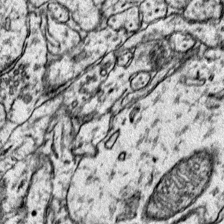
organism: Mouse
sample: Primary visual cortex